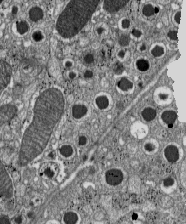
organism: C57BL Mouse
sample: Pancreatic islet